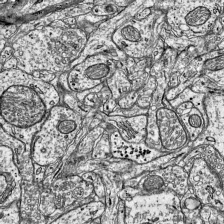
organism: Mouse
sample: Visual Cortex